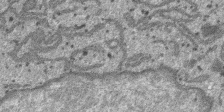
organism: Human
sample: Lung epithelial cells infected with SARS-CoV-2